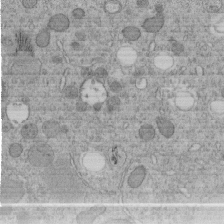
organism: C. elegans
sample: C. elegans embryo early stage